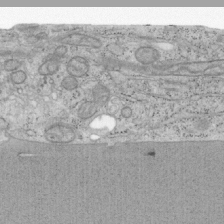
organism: Human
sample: HeLa cells